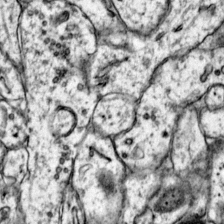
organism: Mouse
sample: Primary visual cortex